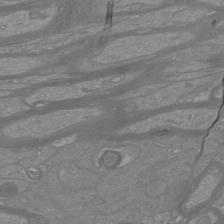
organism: Mouse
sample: Cortical neurons